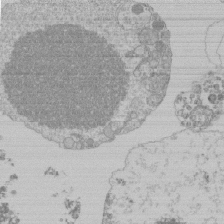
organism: Mouse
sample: Activated Pmel transgenic CD8+ T Cells